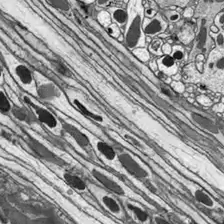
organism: Drosophila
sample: Optic lobe